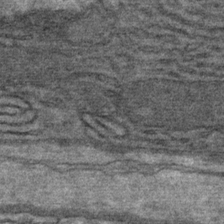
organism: Mouse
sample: Mouse Salivary gland